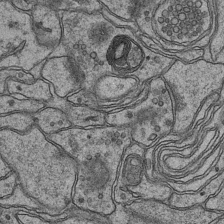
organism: Mouse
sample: CA1 Hippocampus